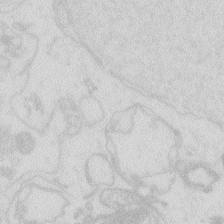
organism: Zebrafish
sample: Macrophage